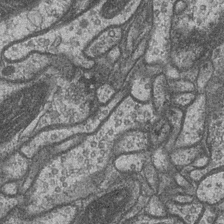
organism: Drosophila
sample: Optic medulla